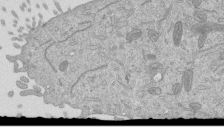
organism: Mouse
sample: ED-1 cell nuclei; centrioles